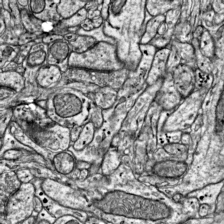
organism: Mouse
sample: Visual Cortex